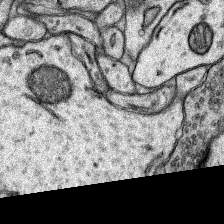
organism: Rat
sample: Hippocampus